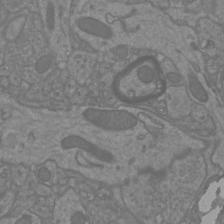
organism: Mouse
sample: Cortical neurons